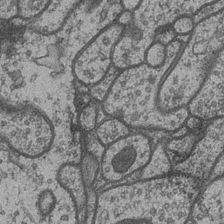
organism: Drosophila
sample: Optic medulla